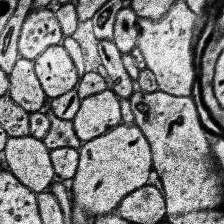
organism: Human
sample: Temporal Lobe